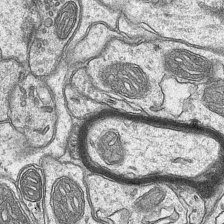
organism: Mouse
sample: CA1 Hippocampus